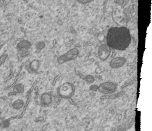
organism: Human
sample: MDA-MB-231 cells